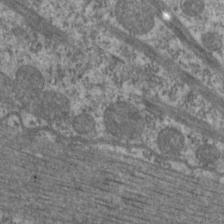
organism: C. elegans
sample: Pharynx